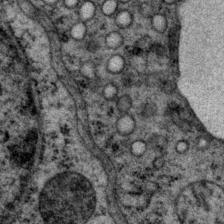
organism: P. pacificus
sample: Pharynx